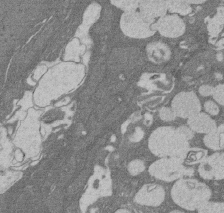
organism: Rat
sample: Salivary granule